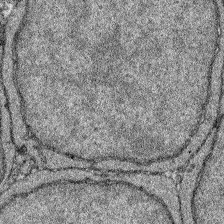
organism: Zebrafish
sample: Larval olfactory bulb